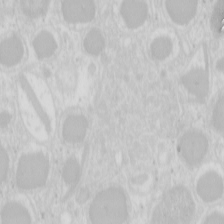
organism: Mouse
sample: Pancreas